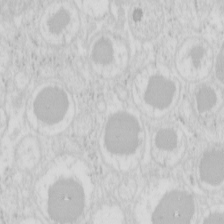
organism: Mouse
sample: Pancreas